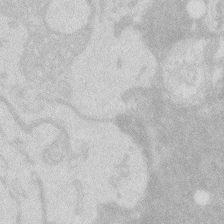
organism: Zebrafish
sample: Macrophage